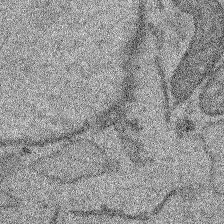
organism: Human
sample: HeLa cells